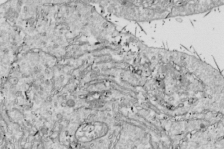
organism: Drosophila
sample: Cell division; meiosis; drosophila spermatocytes